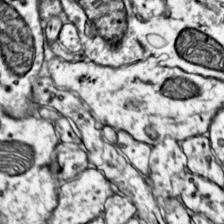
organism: Mouse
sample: Primary visual cortex